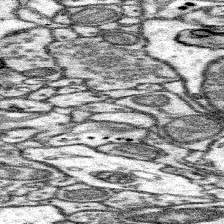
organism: Mouse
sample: Somatosensory cortex neuropil